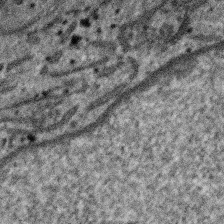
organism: Human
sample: Lung epithelial cells infected with SARS-CoV-2